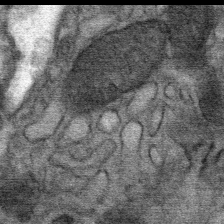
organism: Mouse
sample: Mouse Salivary gland